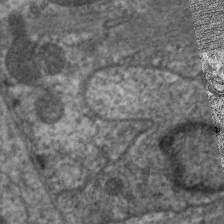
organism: C. elegans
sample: Pharynx